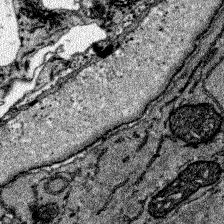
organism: Zebrafish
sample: Larval olfactory bulb